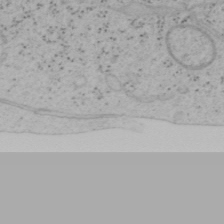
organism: Human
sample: HeLa cells